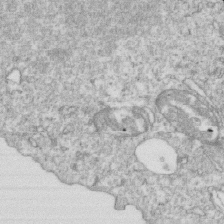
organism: Mouse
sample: Activated OT-1 CD8+ T cells